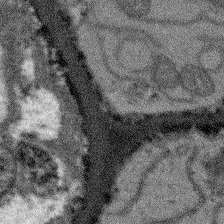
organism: Arabidopsis thaliana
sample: Root tip